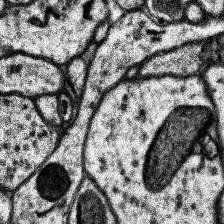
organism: Human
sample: Temporal Lobe